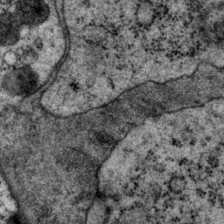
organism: P. pacificus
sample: Pharynx